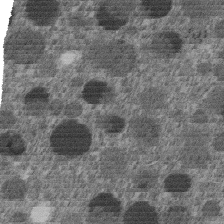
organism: C. elegans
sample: C. elegans embryo early stage